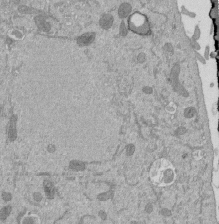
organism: Mouse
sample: ED-1 cell nuclei; centrioles